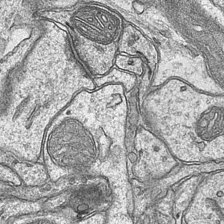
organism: Mouse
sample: CA1 Hippocampus